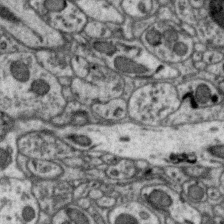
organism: Zebra finch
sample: Brain